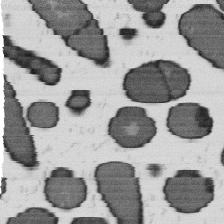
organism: B. subtilis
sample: Bacterial spore